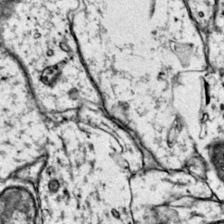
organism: Mouse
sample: Primary visual cortex